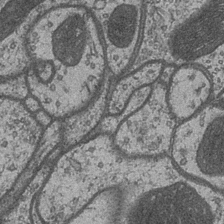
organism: Drosophila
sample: Optic medulla